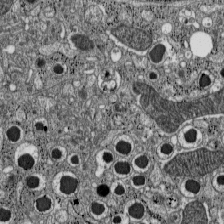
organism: C57BL Mouse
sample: Pancreatic islet